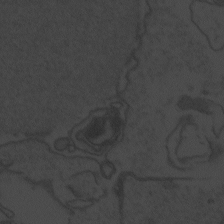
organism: Zebrafish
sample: Macrophage infected with Toxoplasma gondii